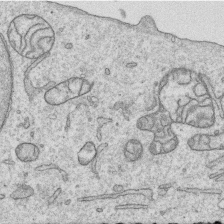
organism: Human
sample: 1205lu cells